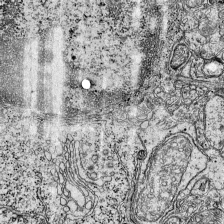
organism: Mouse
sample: Visual Cortex